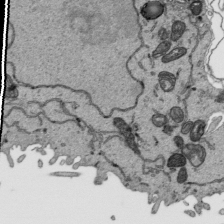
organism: Human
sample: Mitochondria in HCT116 cells